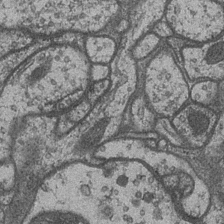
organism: Drosophila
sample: Optic medulla